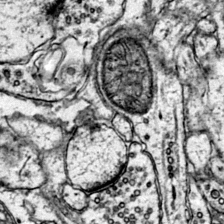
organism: Mouse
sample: Primary visual cortex